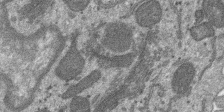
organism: Human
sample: Lung epithelial cells infected with SARS-CoV-2